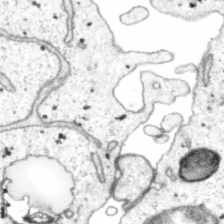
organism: Human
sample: HeLa cells